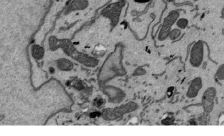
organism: Mouse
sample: ED-1 cell nuclei; centrioles